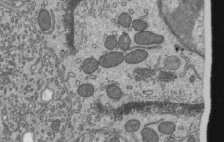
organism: Mouse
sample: Mouse epididymis efferent ductule cilia